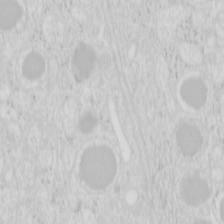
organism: Mouse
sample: Pancreas